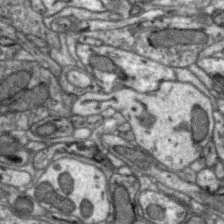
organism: Zebra finch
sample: Brain